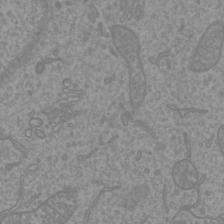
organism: Mouse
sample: Cortical neurons